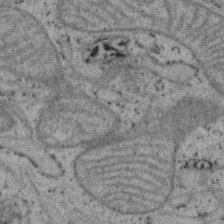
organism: Human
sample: HeLa cells